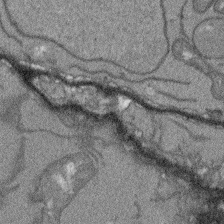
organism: Arabidopsis thaliana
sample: Root tip